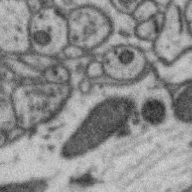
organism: Zebra finch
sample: Brain